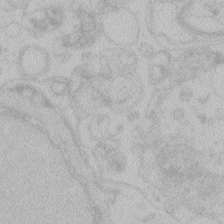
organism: Zebrafish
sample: Macrophage infected with Toxoplasma gondii